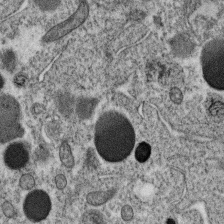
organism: C. elegans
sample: C. elegans oocyte; sperm cells